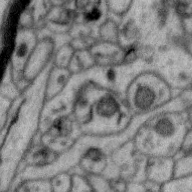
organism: Zebra finch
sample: Brain